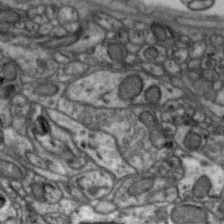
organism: Zebra finch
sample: Brain